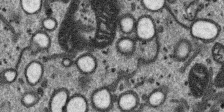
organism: Human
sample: Lung epithelial cells infected with SARS-CoV-2